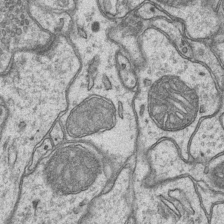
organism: Mouse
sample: CA1 Hippocampus